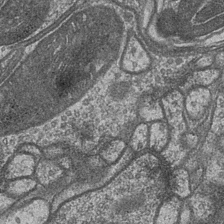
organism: Drosophila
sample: Optic medulla